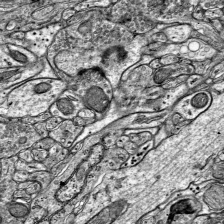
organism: Mouse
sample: Visual Cortex